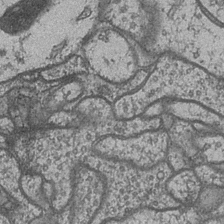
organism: Drosophila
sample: Optic medulla